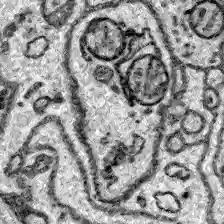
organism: Zebrafish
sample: Brain